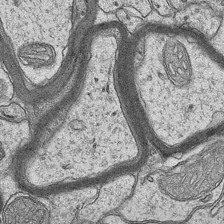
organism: Mouse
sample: CA1 Hippocampus